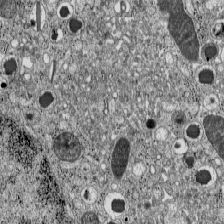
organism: C57BL Mouse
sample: Pancreatic islet